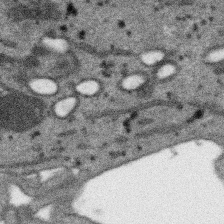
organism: Human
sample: Lung epithelial cells infected with SARS-CoV-2